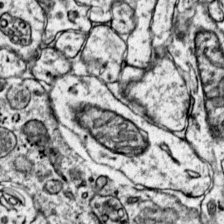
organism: Mouse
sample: Primary visual cortex